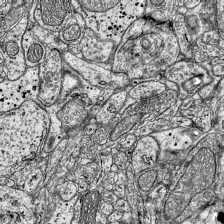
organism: Mouse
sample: Visual Cortex